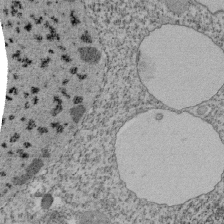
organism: Tetrahymena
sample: Cilia in tetrahymena